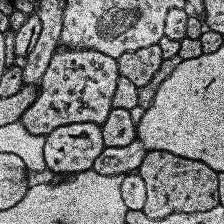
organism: Human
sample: Temporal Lobe